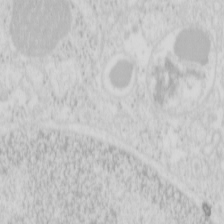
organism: Mouse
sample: Pancreas